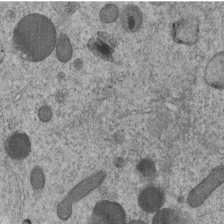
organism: C. elegans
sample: C. elegans embryo early stage